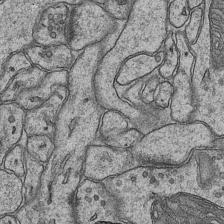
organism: Mouse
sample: CA1 Hippocampus